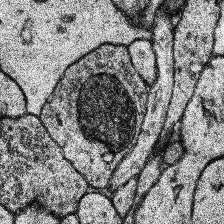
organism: Human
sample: Temporal Lobe